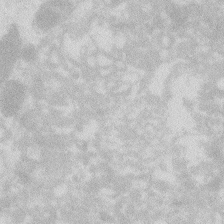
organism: Zebrafish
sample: Macrophage